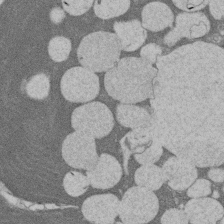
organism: Rat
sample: Salivary granule